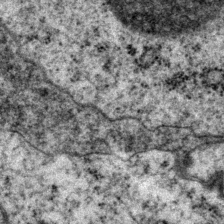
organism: P. pacificus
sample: Pharynx